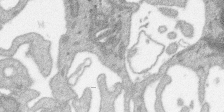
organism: Human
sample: Lung epithelial cells infected with SARS-CoV-2